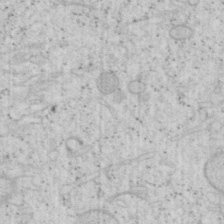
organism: Human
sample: HeLa cells